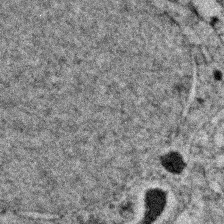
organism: Zebrafish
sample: Zebrafish embryo